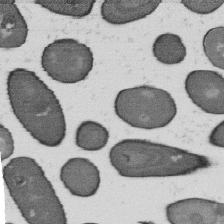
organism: B. subtilis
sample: Bacterial spore